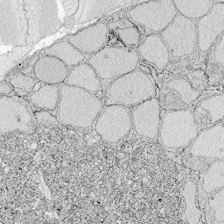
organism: Zebrafish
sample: Whole-Brain